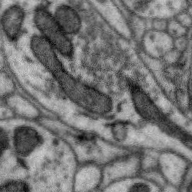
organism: Zebra finch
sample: Brain